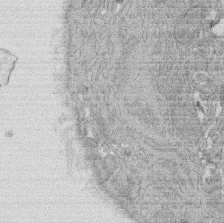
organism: Rat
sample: Salivary granule